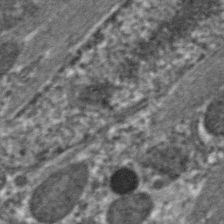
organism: C. elegans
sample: Pharynx